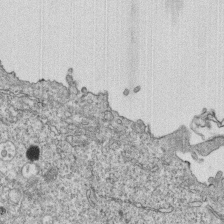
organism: Human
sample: HeLa cell HIV synapse